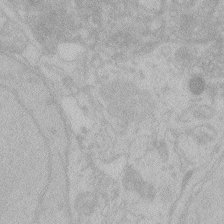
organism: Zebrafish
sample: Macrophage infected with Toxoplasma gondii